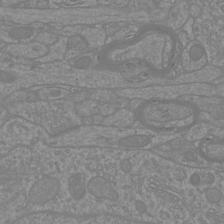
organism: Mouse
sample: Cortical neurons